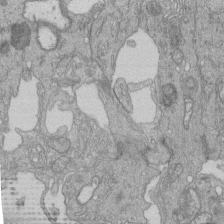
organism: Human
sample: Retinal organoid Rod and Cone cells